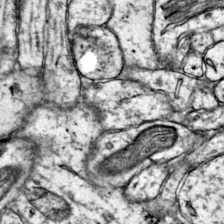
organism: Mouse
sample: Primary visual cortex